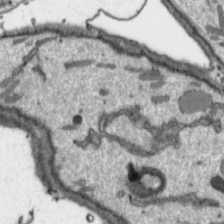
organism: Toxoplasma gondii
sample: Parasites in a vacuole inside a host cell